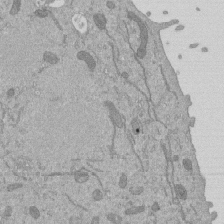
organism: Mouse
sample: ED-1 cell nuclei; centrioles